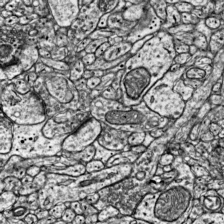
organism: Mouse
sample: Visual Cortex